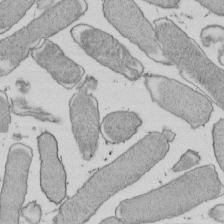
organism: E. coli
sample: Bacterial nucleoid